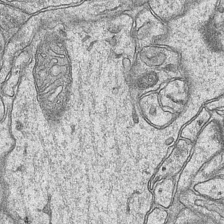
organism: Mouse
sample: CA1 Hippocampus